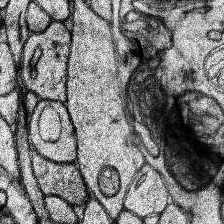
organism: Human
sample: Temporal Lobe